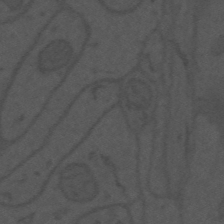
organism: Mouse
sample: Suprachiasmatic nucleus